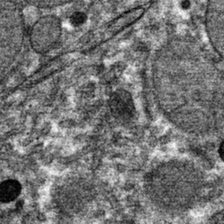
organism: Mouse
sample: Mouse hepatocytes